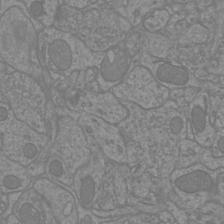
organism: Mouse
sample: Cortical neurons